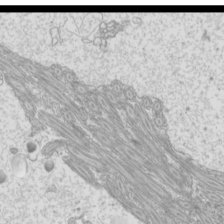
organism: Mouse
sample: Cilia; mouse epididymis